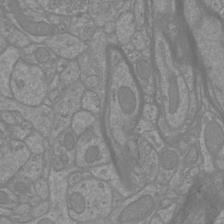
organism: Mouse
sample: Cortical neurons